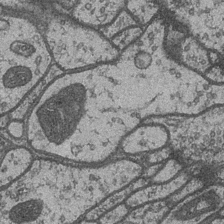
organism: Drosophila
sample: Optic medulla